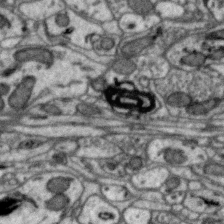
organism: Zebra finch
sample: Brain